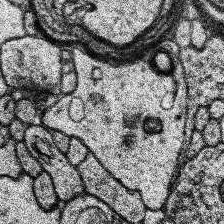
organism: Human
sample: Temporal Lobe